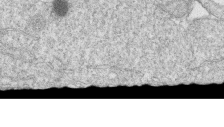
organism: Human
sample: HeLa cell HIV synapse